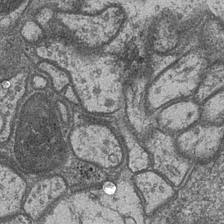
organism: Drosophila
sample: Optic medulla